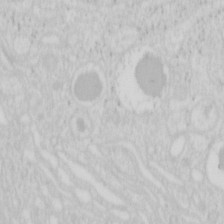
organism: Mouse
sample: Pancreas